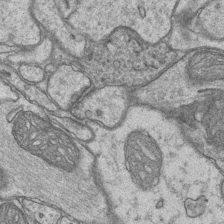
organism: Mouse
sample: CA1 Hippocampus